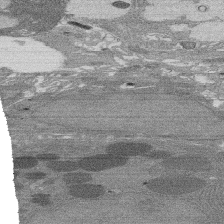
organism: Rat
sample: Salivary granule